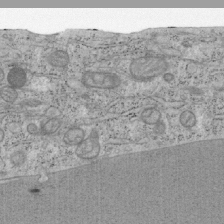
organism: Human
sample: HeLa cells